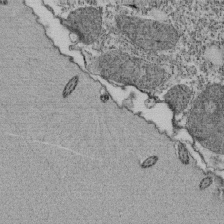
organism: Tetrahymena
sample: Cilia in tetrahymena